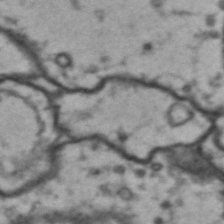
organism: Drosophila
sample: Brain